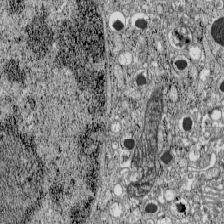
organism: C57BL Mouse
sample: Pancreatic islet